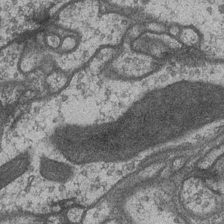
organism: Drosophila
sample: Optic medulla